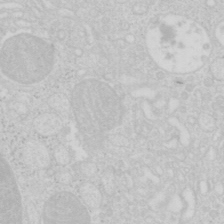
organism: Mouse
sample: Pancreas